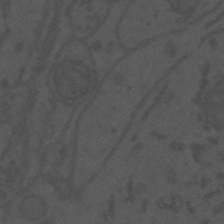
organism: Mouse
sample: Suprachiasmatic nucleus